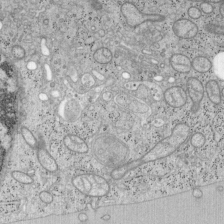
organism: Mouse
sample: OT-I killer T cells with ID8 ovarian cancer cells